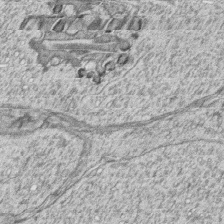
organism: Zebrafish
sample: synaptic ribbons in rod cells and cone cells